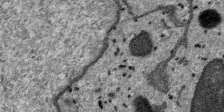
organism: Human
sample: Lung epithelial cells, uninfected (mock) control